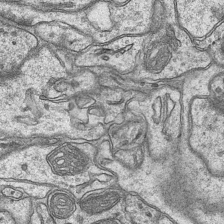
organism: Mouse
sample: CA1 Hippocampus